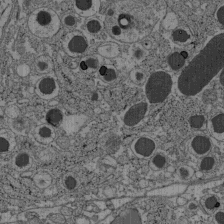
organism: C57BL Mouse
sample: Pancreatic islet